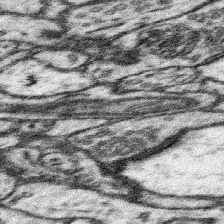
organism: Mouse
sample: Somatosensory cortex neuropil